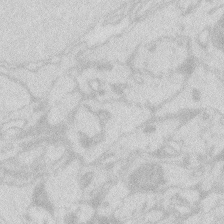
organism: Zebrafish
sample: Macrophage